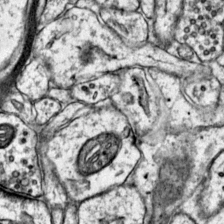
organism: Mouse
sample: Primary visual cortex